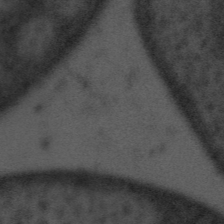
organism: Tuwongella immobilis